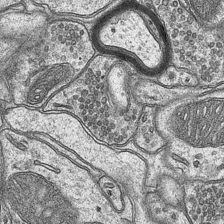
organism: Mouse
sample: CA1 Hippocampus